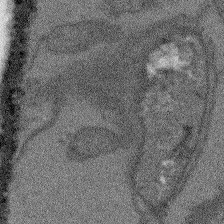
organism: Arabidopsis thaliana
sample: Root tip